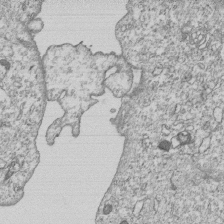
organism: Human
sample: MDA-MB-231 cells